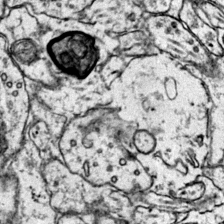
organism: Mouse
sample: Primary visual cortex